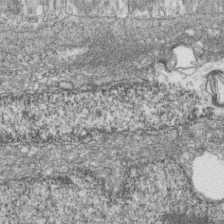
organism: Zebrafish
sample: Cilia; retinal pigment epithelium